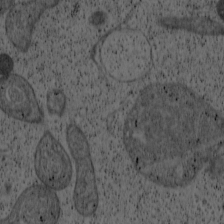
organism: African green monkey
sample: COS-7 cells